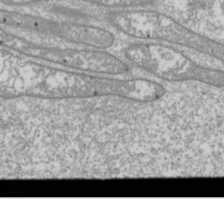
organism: Drosophila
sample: Cell division; meiosis; drosophila spermatocytes